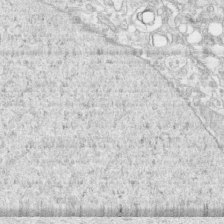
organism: Human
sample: CRL-1474